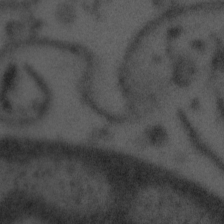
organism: Tuwongella immobilis